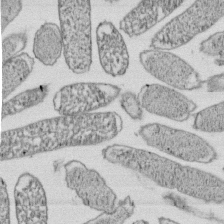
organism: E. coli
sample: Bacterial nucleoid